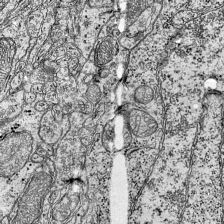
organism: Mouse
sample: Visual Cortex